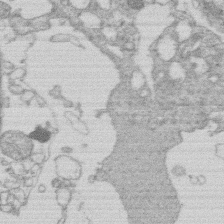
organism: Human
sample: Macrophage cells